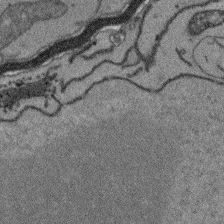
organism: Arabidopsis thaliana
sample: Root tip